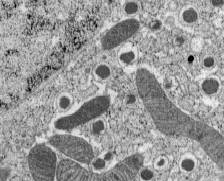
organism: C57BL Mouse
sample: Pancreatic islet